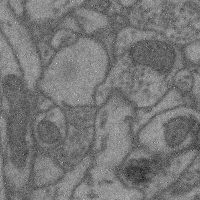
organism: Mouse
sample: Cerebral cortex